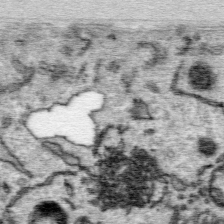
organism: Human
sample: HeLa cells